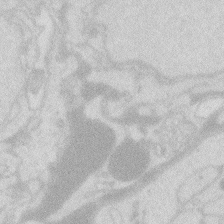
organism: Zebrafish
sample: Macrophage